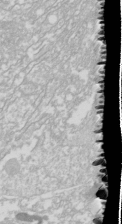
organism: Drosophila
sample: Cell division; meiosis; drosophila spermatocytes